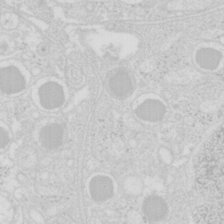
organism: Mouse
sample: Pancreas